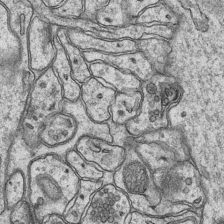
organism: Mouse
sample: CA1 Hippocampus